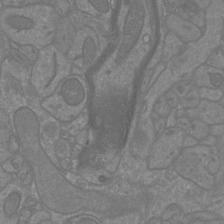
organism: Mouse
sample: Cortical neurons